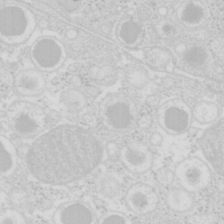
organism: Mouse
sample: Pancreas